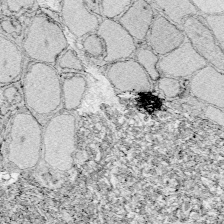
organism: Zebrafish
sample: Whole-Brain